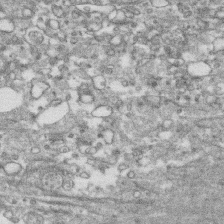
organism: Human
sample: CRL-1474